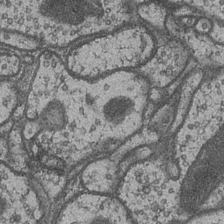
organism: Drosophila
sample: Optic medulla